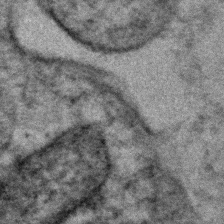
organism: Human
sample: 1205lu cells